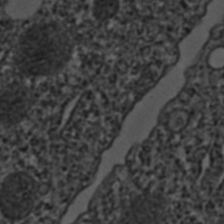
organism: C. elegans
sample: C. elegans embryo